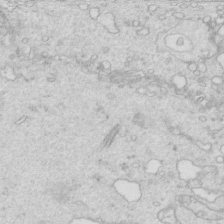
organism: Mouse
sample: Multiciliated cells